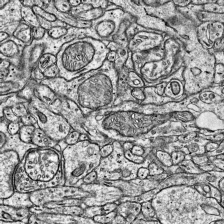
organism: Mouse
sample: Visual Cortex